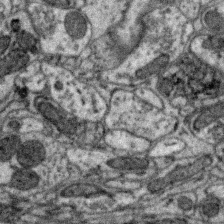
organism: Zebra finch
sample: Brain